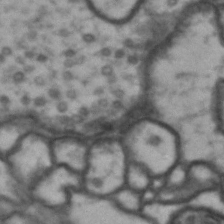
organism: Drosophila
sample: Brain